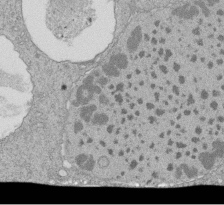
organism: Tetrahymena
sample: Cilia in tetrahymena